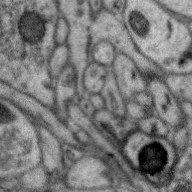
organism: Zebra finch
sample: Brain